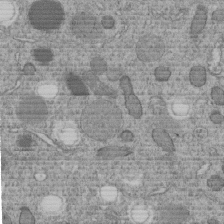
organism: C. elegans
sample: C. elegans embryo early stage